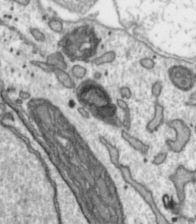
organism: Toxoplasma gondii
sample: Parasites in a vacuole inside a host cell